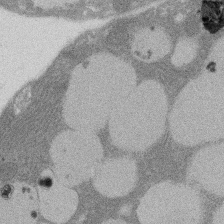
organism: Rat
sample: Salivary granule